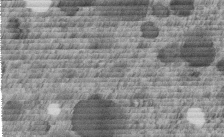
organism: C. elegans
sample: C. elegans embryo early stage